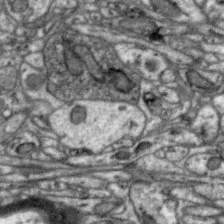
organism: Zebra finch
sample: Brain